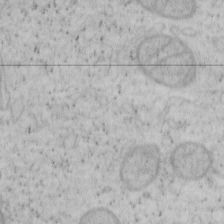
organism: Human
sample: HeLa cells